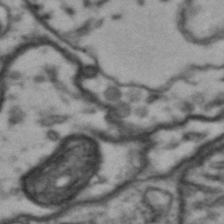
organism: Drosophila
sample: Brain